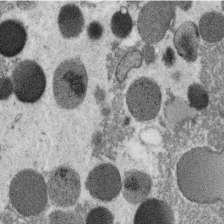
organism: C. elegans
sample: C. elegans oocyte; sperm cells